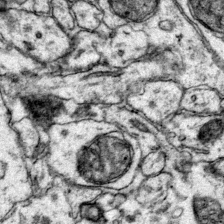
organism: Mouse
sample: Primary visual cortex